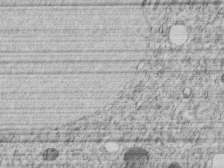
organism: C. elegans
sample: C. elegans embryo early stage